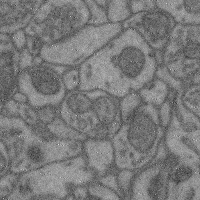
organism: Mouse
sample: Cerebral cortex